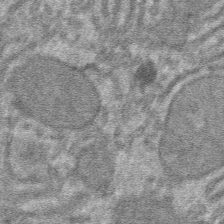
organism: Mouse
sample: Mouse hepatocytes